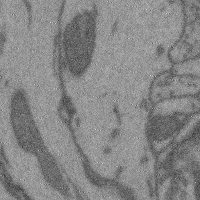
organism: Mouse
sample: Cerebral cortex